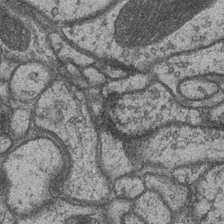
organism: Drosophila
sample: Optic medulla